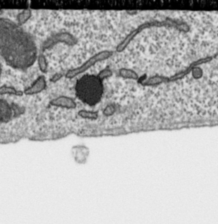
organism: Toxoplasma gondii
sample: Parasites in a vacuole inside a host cell